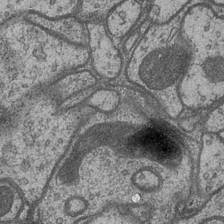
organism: Drosophila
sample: Optic medulla